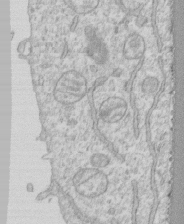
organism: Human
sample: CRL-1474